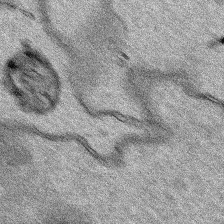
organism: Human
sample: Mitochondria in HCT116 cells